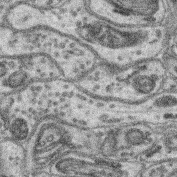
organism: Mouse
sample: Retina